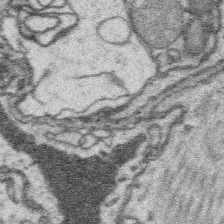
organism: Platynereis dumerilii